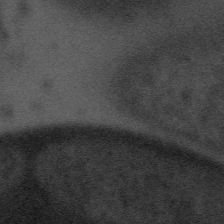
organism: Tuwongella immobilis